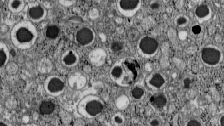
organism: C57BL Mouse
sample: Pancreatic islet